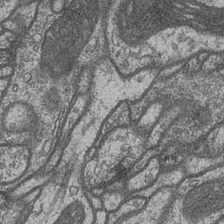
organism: Drosophila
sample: Optic medulla